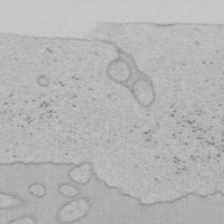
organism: Human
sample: HeLa cells